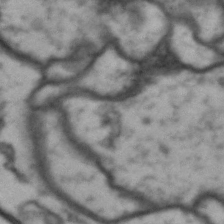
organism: Drosophila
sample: Brain